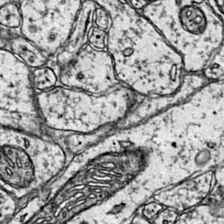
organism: Mouse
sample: Primary visual cortex